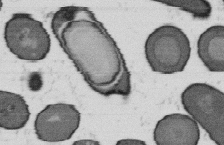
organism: B. subtilis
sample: Bacterial spore